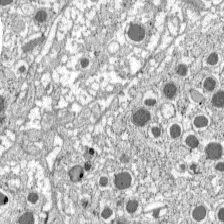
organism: C57BL Mouse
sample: Pancreatic islet